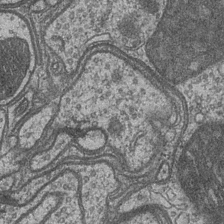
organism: Drosophila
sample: Optic medulla